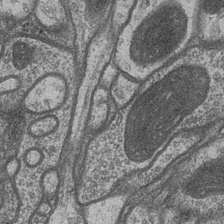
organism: Drosophila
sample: Optic medulla